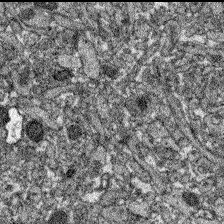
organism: Zebrafish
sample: Larval olfactory bulb